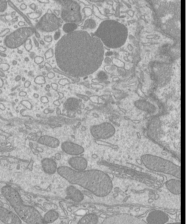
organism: Mouse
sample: Cilia; mouse epididymis